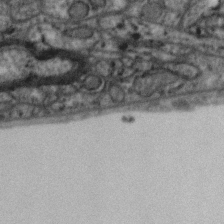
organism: Zebra finch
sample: Brain